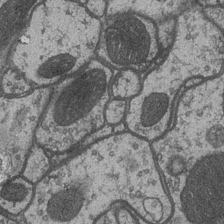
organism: Drosophila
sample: Optic medulla